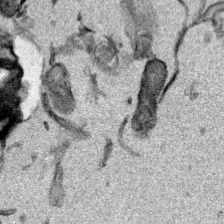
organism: Mouse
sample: Cancer cell death in ED-1 cells